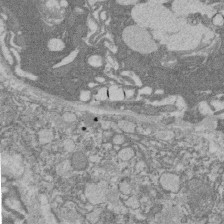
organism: Rat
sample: Salivary granule